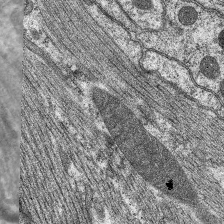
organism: C. elegans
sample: Pharynx